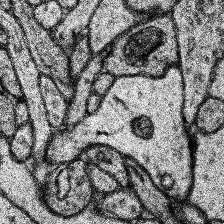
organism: Human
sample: Temporal Lobe